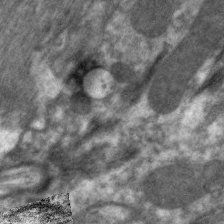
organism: C. elegans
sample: Pharynx